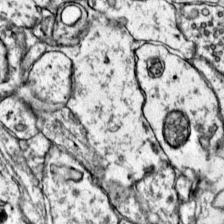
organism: Mouse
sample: Primary visual cortex